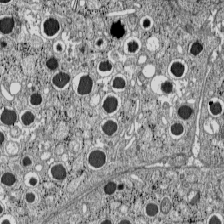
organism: C57BL Mouse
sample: Pancreatic islet